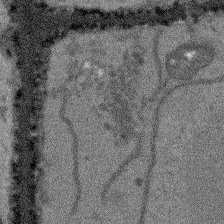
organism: Arabidopsis thaliana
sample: Root tip